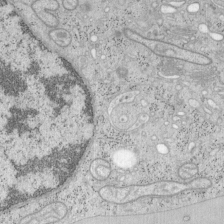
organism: Mouse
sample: OT-I killer T cells with ID8 ovarian cancer cells